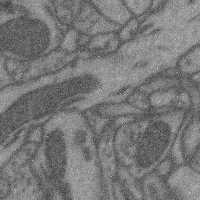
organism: Mouse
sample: Cerebral cortex